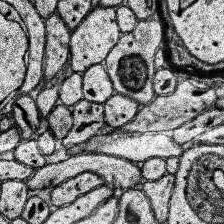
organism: Human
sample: Temporal Lobe